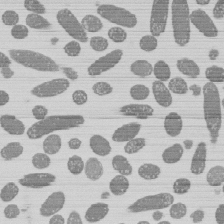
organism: E. coli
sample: Bacterial nucleoid